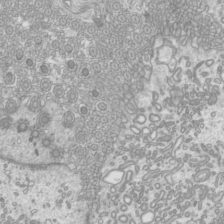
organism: Mouse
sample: Cilia; mouse epididymis